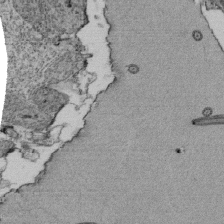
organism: Tetrahymena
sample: Cilia in tetrahymena